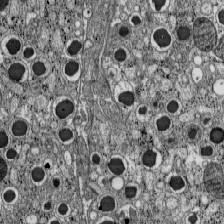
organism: C57BL Mouse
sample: Pancreatic islet